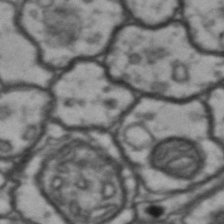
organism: Drosophila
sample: Brain